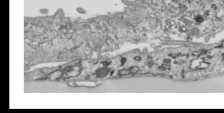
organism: Human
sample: Mitochondria in HCT116 cells